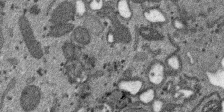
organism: Human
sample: Lung epithelial cells infected with SARS-CoV-2